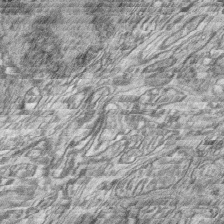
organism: Zebrafish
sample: synaptic ribbons in rod cells and cone cells